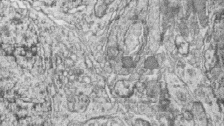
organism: Zebrafish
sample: synaptic ribbons in rod cells and cone cells